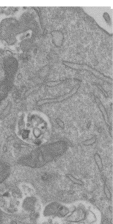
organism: Mouse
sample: ED-1 cell nuclei; centrioles